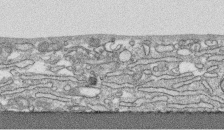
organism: Human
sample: CRL-1474